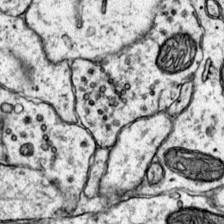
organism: Mouse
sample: Primary visual cortex